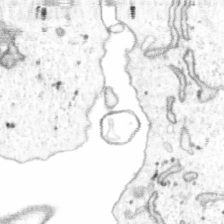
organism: Human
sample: HeLa cells